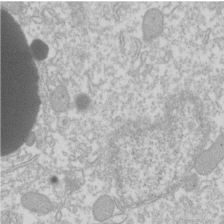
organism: Xenopus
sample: Cilia; centrioles in frog embryo cells